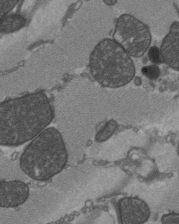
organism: C57BL Mouse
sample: Heart